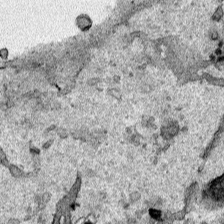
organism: Human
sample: Mitochondria in HCT116 cells